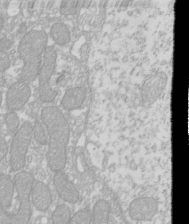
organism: Xenopus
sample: Cilia; centrioles in frog embryo cells